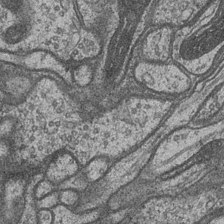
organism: Drosophila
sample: Optic medulla